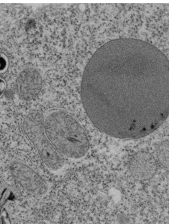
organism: Tetrahymena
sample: Cilia in tetrahymena